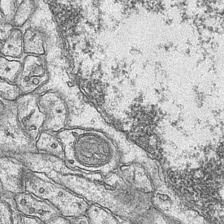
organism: Mouse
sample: CA1 Hippocampus